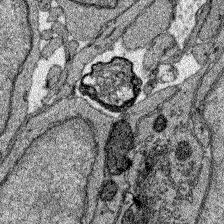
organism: Zebrafish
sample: Larval olfactory bulb